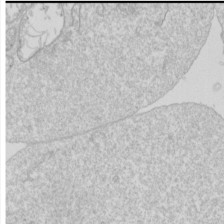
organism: Drosophila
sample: Cell division; meiosis; drosophila spermatocytes